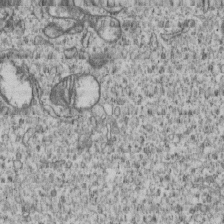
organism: Human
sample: MDA-MB-231 cells